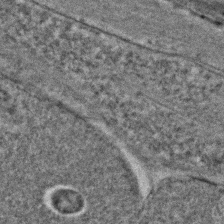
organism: C. elegans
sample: C. elegans embryo